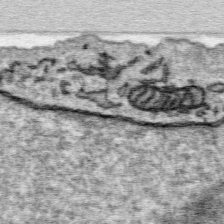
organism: Human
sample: HeLa cells